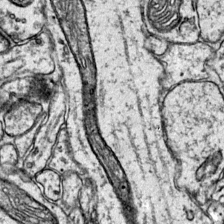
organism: Mouse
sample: Primary visual cortex